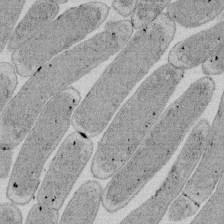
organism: E. coli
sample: Bacterial nucleoid